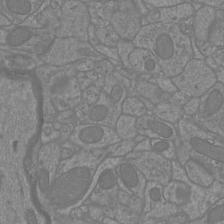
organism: Mouse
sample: Cortical neurons